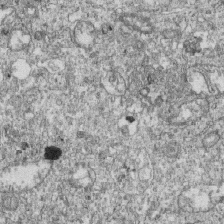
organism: Human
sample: HeLa cell HIV synapse